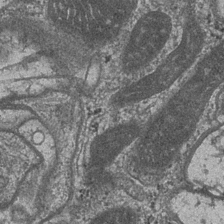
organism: Drosophila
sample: Optic medulla